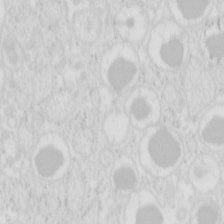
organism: Mouse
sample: Pancreas